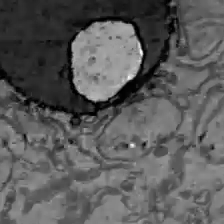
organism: C57BL Mouse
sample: Liver